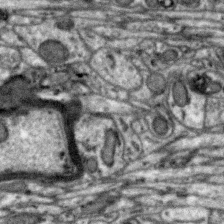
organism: Zebra finch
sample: Brain